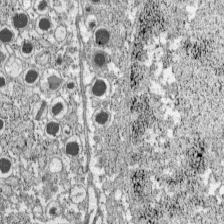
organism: C57BL Mouse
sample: Pancreatic islet